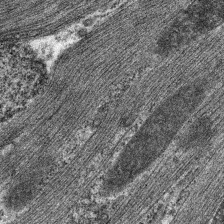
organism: C. elegans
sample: Pharynx